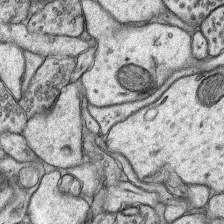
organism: Rat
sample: Hippocampus